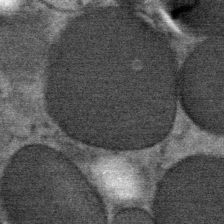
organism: Mouse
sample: Mouse Salivary gland